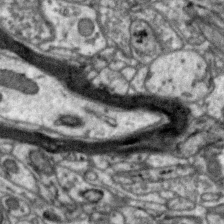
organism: Zebra finch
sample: Brain